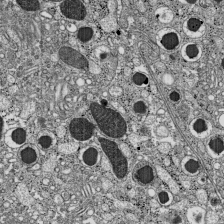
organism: C57BL Mouse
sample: Pancreatic islet